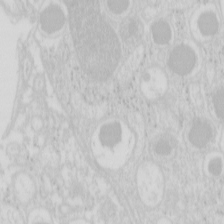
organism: Mouse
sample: Pancreas